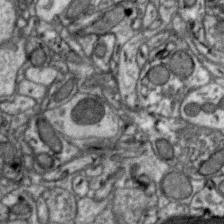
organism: Zebra finch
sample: Brain